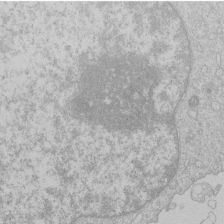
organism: Human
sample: Macrophage cells